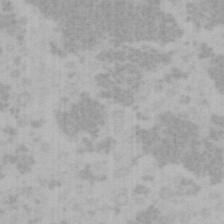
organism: Mouse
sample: Choroid plexus